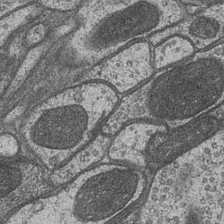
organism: Drosophila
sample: Optic medulla